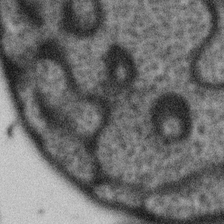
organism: Gemmata obscuriglobus